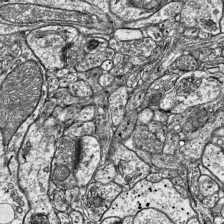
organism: Mouse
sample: Visual Cortex